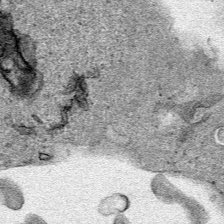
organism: Human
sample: Mitochondria in HCT116 cells